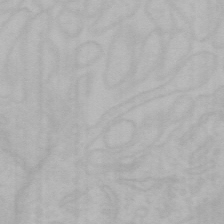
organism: Mouse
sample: Choroid plexus